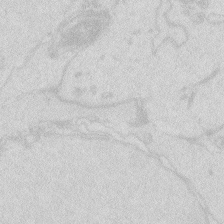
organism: Zebrafish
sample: Macrophage